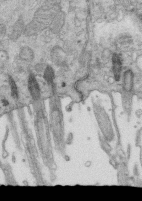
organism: Mouse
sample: Multiciliated cells